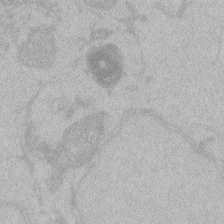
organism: Zebrafish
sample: Macrophage infected with Toxoplasma gondii